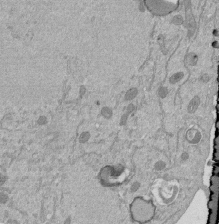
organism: Mouse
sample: ED-1 cell nuclei; centrioles